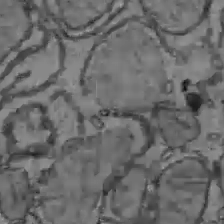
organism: C57BL Mouse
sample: Liver